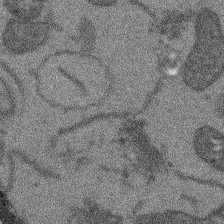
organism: Arabidopsis thaliana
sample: Root tip